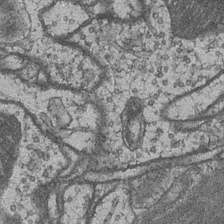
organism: Drosophila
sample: Optic medulla